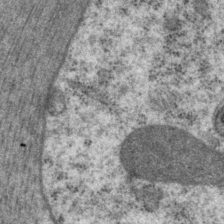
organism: P. pacificus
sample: Pharynx